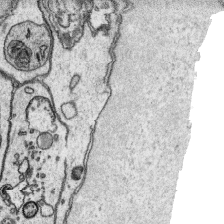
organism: Platynereis dumerilii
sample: Parapodia